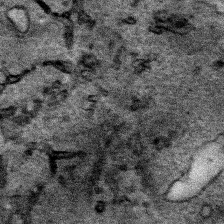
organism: Human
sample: Mitochondria in HCT116 cells